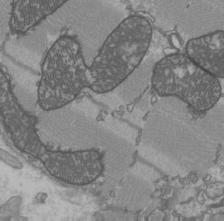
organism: C57BL Mouse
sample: Heart